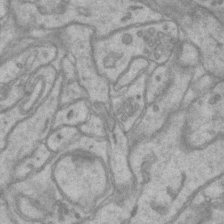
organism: Mouse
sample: CA1 Hippocampus